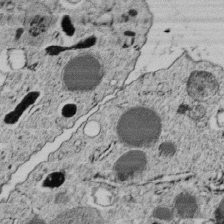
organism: C. elegans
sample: C. elegans embryo early stage